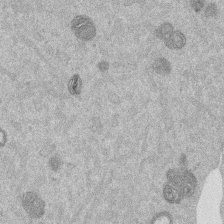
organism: Mouse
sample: Dividing mouse embryo 1 cell stage